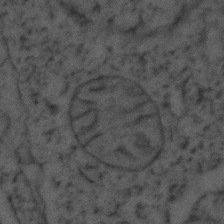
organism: Zebrafish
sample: Zebrafish embryo